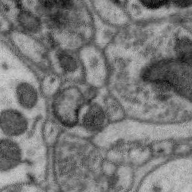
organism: Zebra finch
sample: Brain